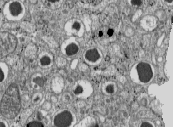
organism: C57BL Mouse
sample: Pancreatic islet